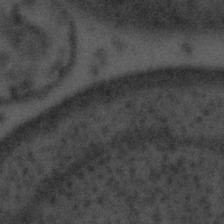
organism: Tuwongella immobilis